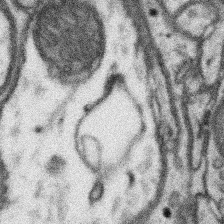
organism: Mouse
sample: Somatosensory cortex neuropil